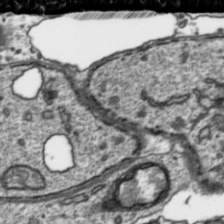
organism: Toxoplasma gondii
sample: Parasites in a vacuole inside a host cell